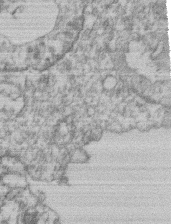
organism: Mouse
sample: T cell stromal cell synapse